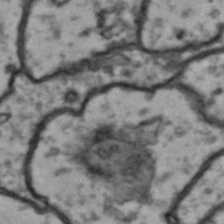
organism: Drosophila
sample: Brain